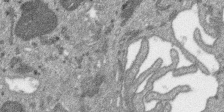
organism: Human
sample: Lung epithelial cells infected with SARS-CoV-2